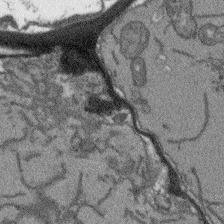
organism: Arabidopsis thaliana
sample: Root tip